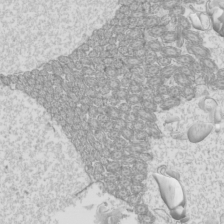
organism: Mouse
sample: Cilia; mouse epididymis